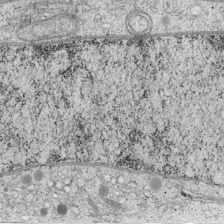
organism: African green monkey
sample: COS-7 cells